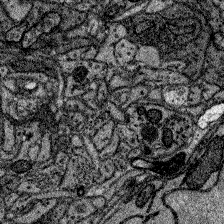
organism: Zebrafish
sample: Larval olfactory bulb